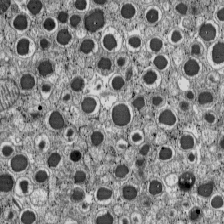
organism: C57BL Mouse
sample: Pancreatic islet